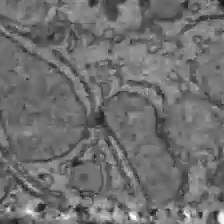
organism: C57BL Mouse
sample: Liver